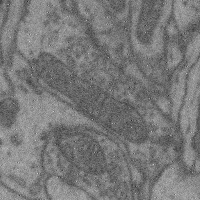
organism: Mouse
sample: Cerebral cortex